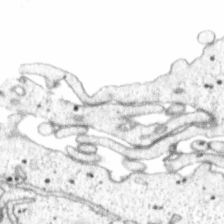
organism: Human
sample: HeLa cells